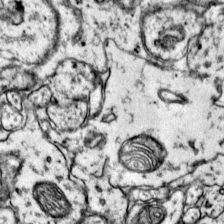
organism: Mouse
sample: Primary visual cortex